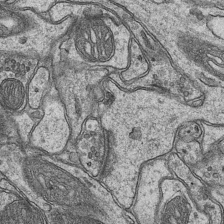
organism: Mouse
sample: CA1 Hippocampus